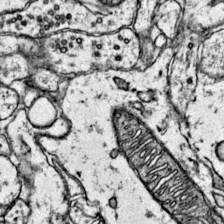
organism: Mouse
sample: Primary visual cortex